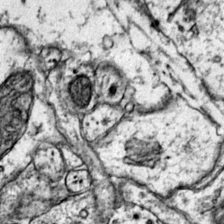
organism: Mouse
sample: Primary visual cortex